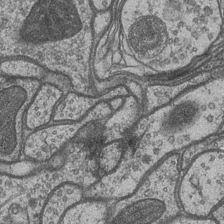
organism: Drosophila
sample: Optic medulla